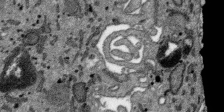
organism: Human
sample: Lung epithelial cells, uninfected (mock) control